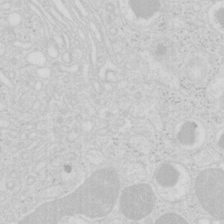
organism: Mouse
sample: Pancreas